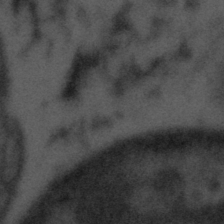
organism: Tuwongella immobilis